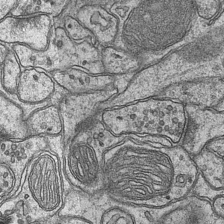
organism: Mouse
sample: CA1 Hippocampus